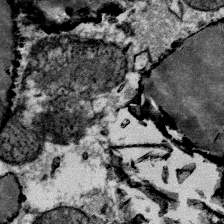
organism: Mouse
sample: Mouse Salivary gland